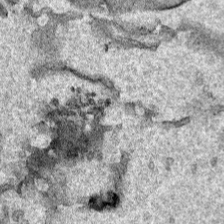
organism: Human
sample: Mitochondria in HCT116 cells